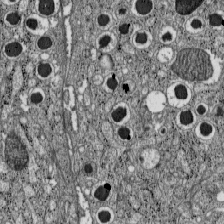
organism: C57BL Mouse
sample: Pancreatic islet